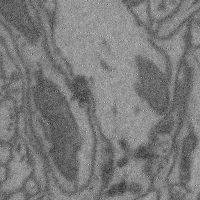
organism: Mouse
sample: Cerebral cortex